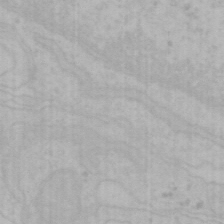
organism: Mouse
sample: Choroid plexus